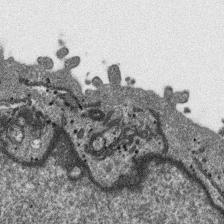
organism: Human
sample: Lung epithelial cells infected with SARS-CoV-2